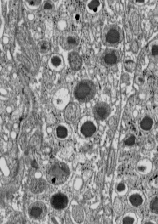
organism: C57BL Mouse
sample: Pancreatic islet